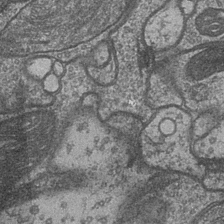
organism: Drosophila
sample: Optic medulla